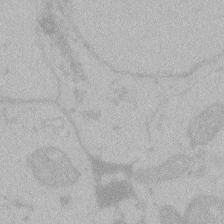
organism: Zebrafish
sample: Macrophage infected with Toxoplasma gondii